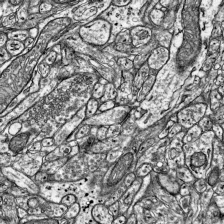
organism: Mouse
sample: Visual Cortex